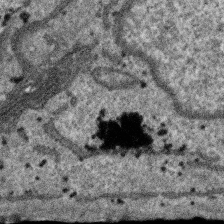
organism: Human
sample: Lung epithelial cells infected with SARS-CoV-2